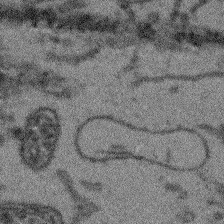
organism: Arabidopsis thaliana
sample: Root tip